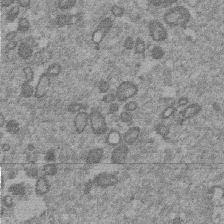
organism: Mouse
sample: Dividing mouse embryo 1 cell stage